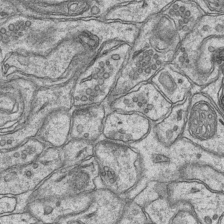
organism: Mouse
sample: CA1 Hippocampus